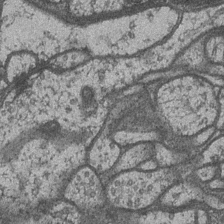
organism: Drosophila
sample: Optic medulla